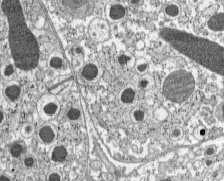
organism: C57BL Mouse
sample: Pancreatic islet